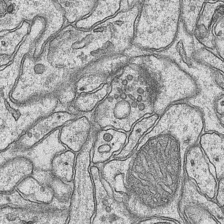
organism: Mouse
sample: CA1 Hippocampus